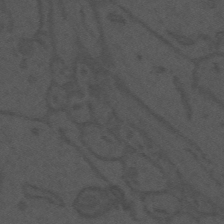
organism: Mouse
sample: Suprachiasmatic nucleus